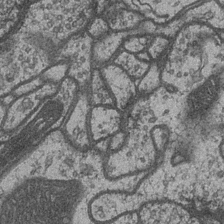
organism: Drosophila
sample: Optic medulla